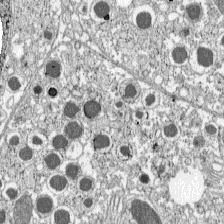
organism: C57BL Mouse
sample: Pancreatic islet